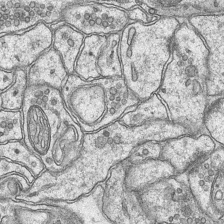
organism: Mouse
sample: CA1 Hippocampus